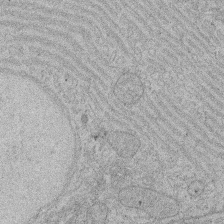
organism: Rat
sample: Salivary granule